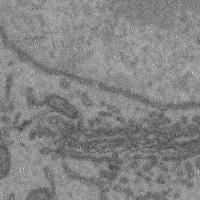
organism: Mouse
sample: Cerebral cortex